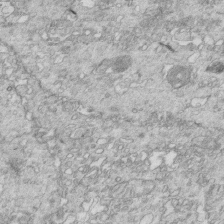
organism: Mouse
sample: Multiciliated cells